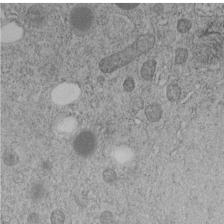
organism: C. elegans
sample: C. elegans embryo early stage